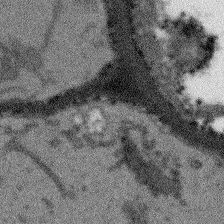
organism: Arabidopsis thaliana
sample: Root tip